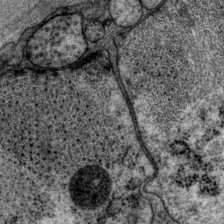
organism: P. pacificus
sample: Pharynx